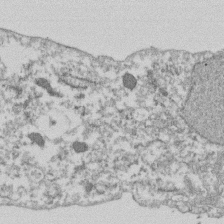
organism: Dictyostelium discoideum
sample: Dictyostelium multivesicular bodies